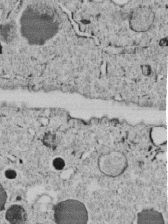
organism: C. elegans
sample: C. elegans embryo early stage